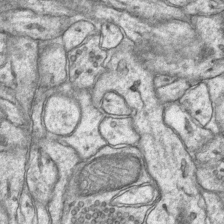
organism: Mouse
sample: CA1 Hippocampus